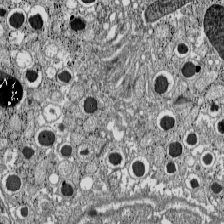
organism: C57BL Mouse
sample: Pancreatic islet